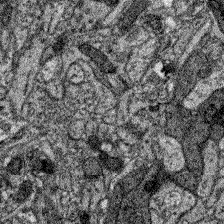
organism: Zebrafish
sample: Larval olfactory bulb